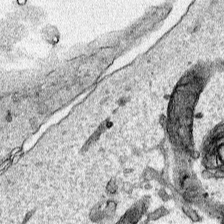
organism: Human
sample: Mitochondria in HCT116 cells